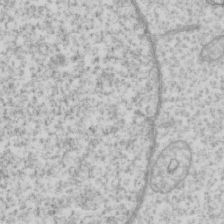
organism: Human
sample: Fibroblast cells